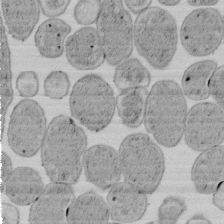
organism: E. coli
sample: Bacterial nucleoid